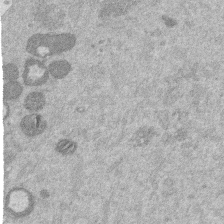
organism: Mouse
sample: Dividing mouse embryo 1 cell stage